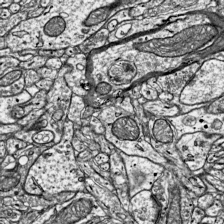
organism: Mouse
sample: Visual Cortex